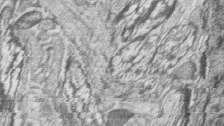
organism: Zebrafish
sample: synaptic ribbons in rod cells and cone cells